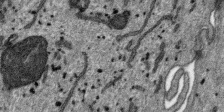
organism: Human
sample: Lung epithelial cells, uninfected (mock) control